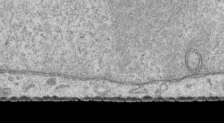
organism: Human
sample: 1205lu cells